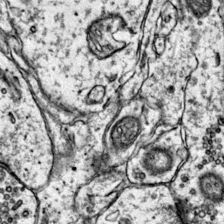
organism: Mouse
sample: Primary visual cortex